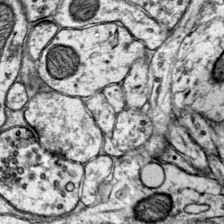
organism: Mouse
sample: Primary visual cortex